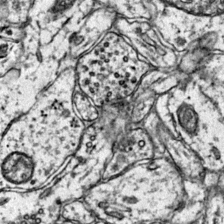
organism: Mouse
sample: Primary visual cortex